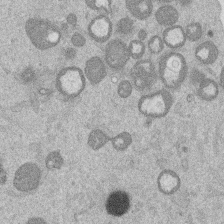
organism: Mouse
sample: Dividing mouse embryo 1 cell stage